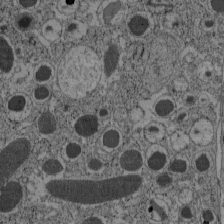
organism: C57BL Mouse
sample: Pancreatic islet